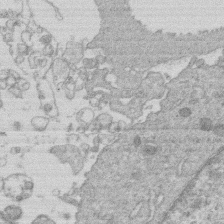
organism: Human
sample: Macrophage cells